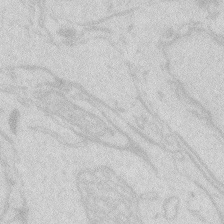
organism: Zebrafish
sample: Macrophage